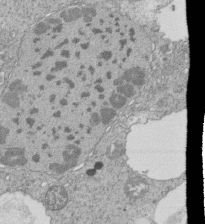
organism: Tetrahymena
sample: Cilia in tetrahymena